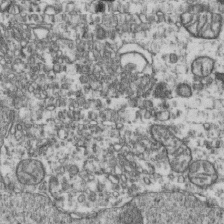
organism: Human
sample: Activated Jurkat CD4+ T cells